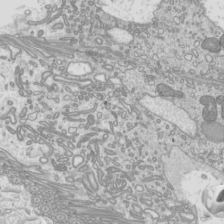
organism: Mouse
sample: Cilia; mouse epididymis